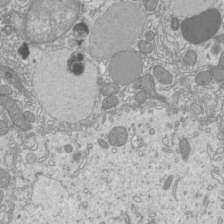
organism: Mouse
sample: Cilia; mouse epididymis